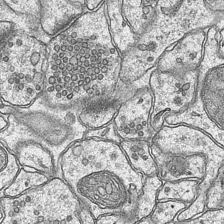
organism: Mouse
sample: CA1 Hippocampus